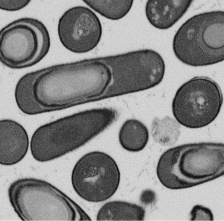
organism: B. subtilis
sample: Bacterial spore